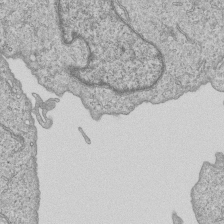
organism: Human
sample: MDA-MB-231 cells